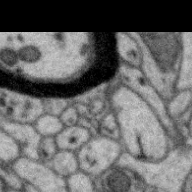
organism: Zebra finch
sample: Brain